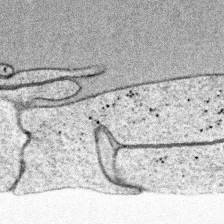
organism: Human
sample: HeLa cells